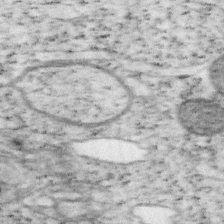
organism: Mouse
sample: OT-I killer T cells with ID8 ovarian cancer cells